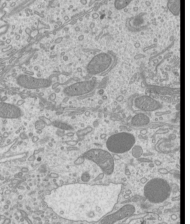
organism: Mouse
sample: Cilia; mouse epididymis